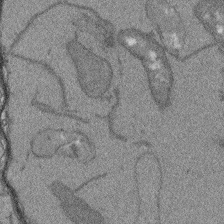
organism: Arabidopsis thaliana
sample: Root tip